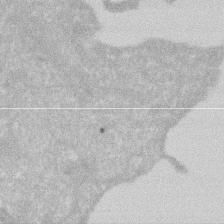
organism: Human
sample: HIV infected U937 cells